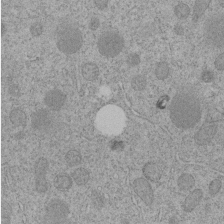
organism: C. elegans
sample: C. elegans embryo early stage